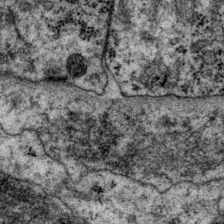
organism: P. pacificus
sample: Pharynx